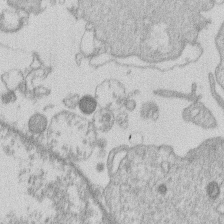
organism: Human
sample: Macrophage cells